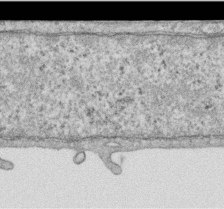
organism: Human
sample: Centriole in RPE cells